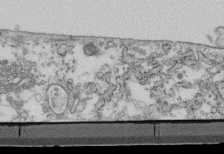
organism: Mouse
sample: Cilia; retinal pigment epithelium